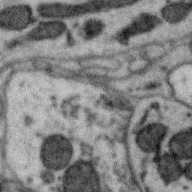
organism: Zebra finch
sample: Brain